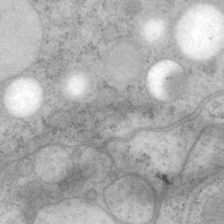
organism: P. pacificus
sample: Pharynx